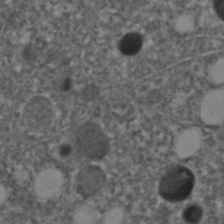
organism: C. elegans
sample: C. elegans embryo